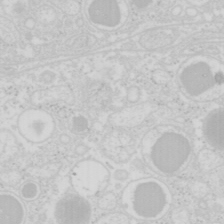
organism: Mouse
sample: Pancreas